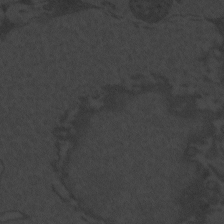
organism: Zebrafish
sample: Macrophage infected with Toxoplasma gondii